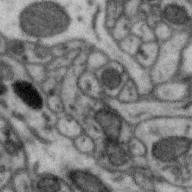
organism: Zebra finch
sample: Brain